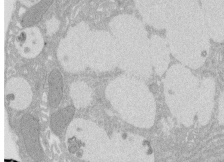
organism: Rat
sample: Salivary granule